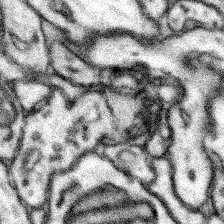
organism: Mouse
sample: Somatosensory cortex neuropil